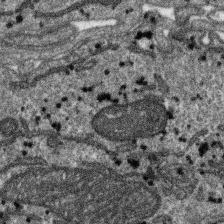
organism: Human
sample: Lung epithelial cells infected with SARS-CoV-2